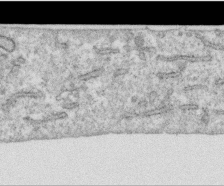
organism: Human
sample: Centriole in RPE cells